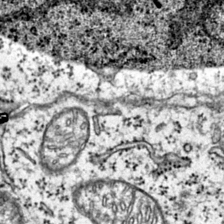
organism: Mouse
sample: Primary visual cortex